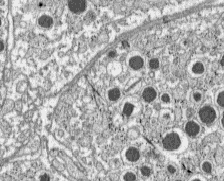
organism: C57BL Mouse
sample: Pancreatic islet